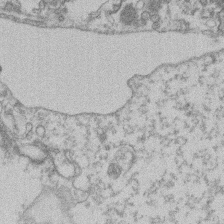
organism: Mouse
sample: T cell stromal cell synapse